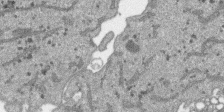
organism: Human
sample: Lung epithelial cells infected with SARS-CoV-2